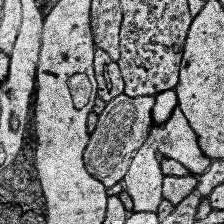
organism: Human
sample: Temporal Lobe